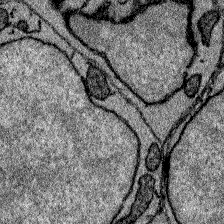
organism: Zebrafish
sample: Larval olfactory bulb